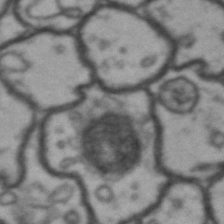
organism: Drosophila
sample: Brain